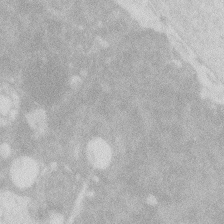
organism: Zebrafish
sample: Macrophage